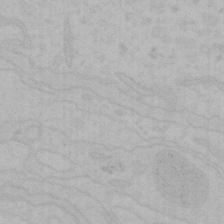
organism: Mouse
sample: Choroid plexus